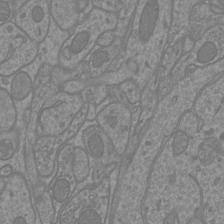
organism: Mouse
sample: Cortical neurons